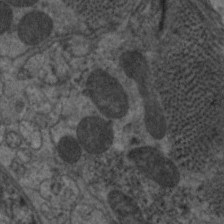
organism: C. elegans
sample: Pharynx